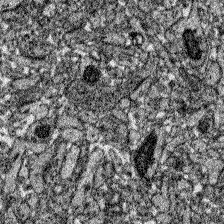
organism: Zebrafish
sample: Larval olfactory bulb